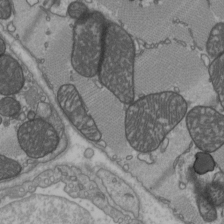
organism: C57BL Mouse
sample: Heart